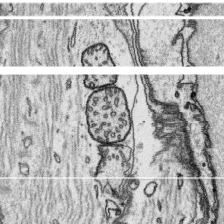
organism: Platynereis dumerilii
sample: Parapodia